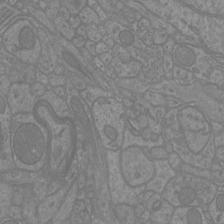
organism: Mouse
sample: Cortical neurons